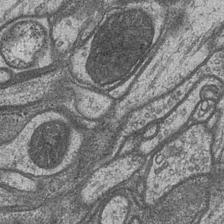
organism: Drosophila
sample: Optic medulla